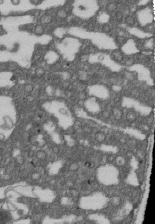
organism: Drosophila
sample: Nephrocyte